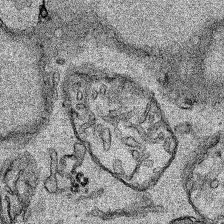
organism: Human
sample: Mitochondria in HCT116 cells